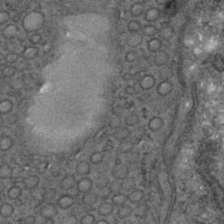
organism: C. elegans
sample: C. elegans embryo